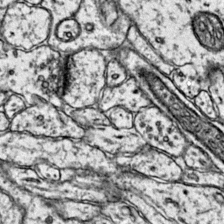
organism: Mouse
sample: Primary visual cortex